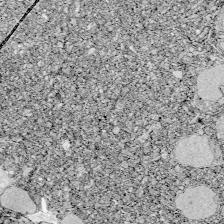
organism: Zebrafish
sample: Whole-Brain